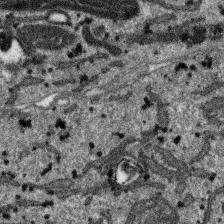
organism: Human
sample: Lung epithelial cells infected with SARS-CoV-2